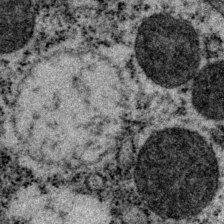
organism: P. pacificus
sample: Pharynx